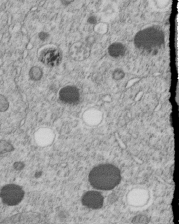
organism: C. elegans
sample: C. elegans embryo early stage